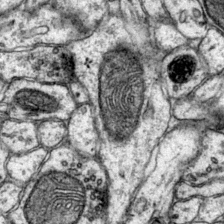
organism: Mouse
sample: Primary visual cortex